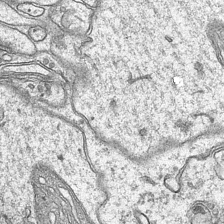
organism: Mouse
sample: CA1 Hippocampus